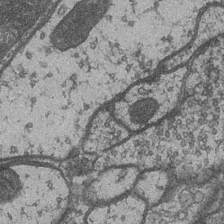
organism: Drosophila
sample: Optic medulla